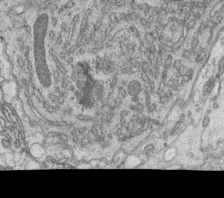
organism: C. elegans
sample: C. elegans oocyte; sperm cells